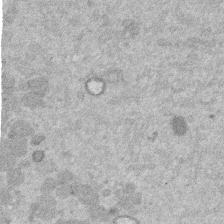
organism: Mouse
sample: Dividing mouse embryo 1 cell stage